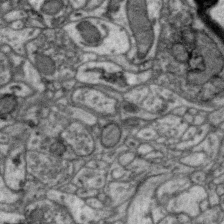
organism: Zebra finch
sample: Brain